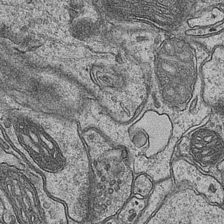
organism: Mouse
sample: CA1 Hippocampus